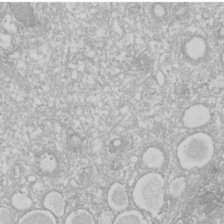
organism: Xenopus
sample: Cilia; centrioles in frog embryo cells